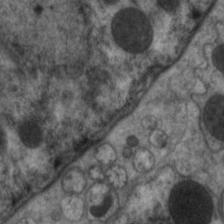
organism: C. elegans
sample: Pharynx